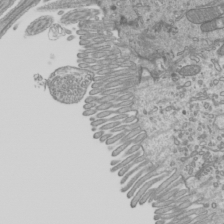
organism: Mouse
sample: Cilia; mouse epididymis